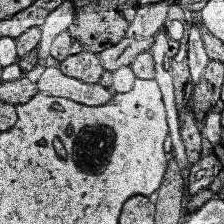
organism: Human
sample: Temporal Lobe